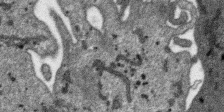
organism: Human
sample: Lung epithelial cells infected with SARS-CoV-2